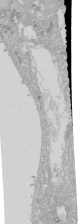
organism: Human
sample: Caco-2 cells